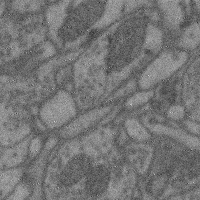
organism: Mouse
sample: Cerebral cortex